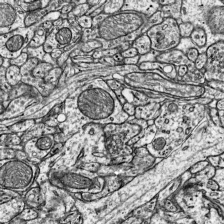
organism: Mouse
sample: Visual Cortex